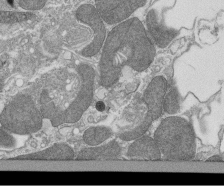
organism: Tetrahymena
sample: Cilia in tetrahymena